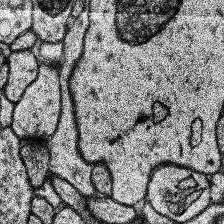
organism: Human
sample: Temporal Lobe